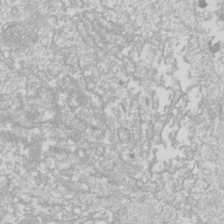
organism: Drosophila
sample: Cell division; meiosis; drosophila spermatocytes